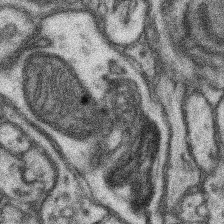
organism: Mouse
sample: Somatosensory cortex neuropil